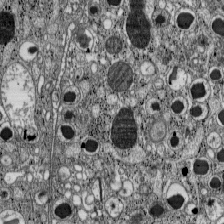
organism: C57BL Mouse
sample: Pancreatic islet